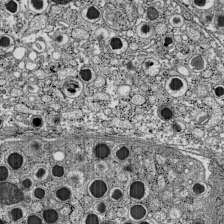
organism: C57BL Mouse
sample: Pancreatic islet